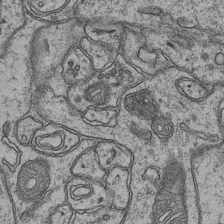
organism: Mouse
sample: CA1 Hippocampus